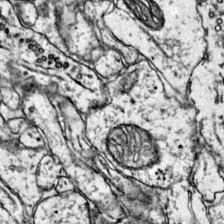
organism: Mouse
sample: Primary visual cortex